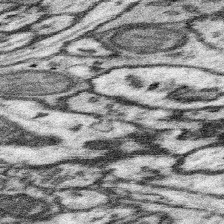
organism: Mouse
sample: Somatosensory cortex neuropil